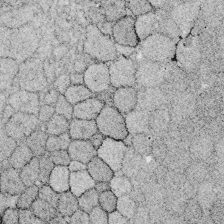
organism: Zebrafish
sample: Whole-Brain